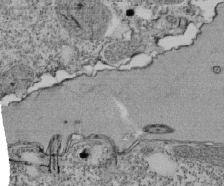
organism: Tetrahymena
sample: Cilia in tetrahymena